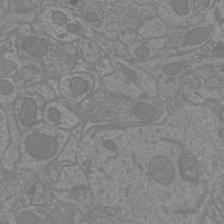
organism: Mouse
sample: Cortical neurons